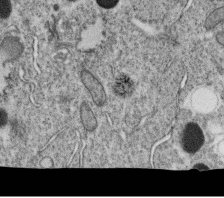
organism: C. elegans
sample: C. elegans oocyte; sperm cells